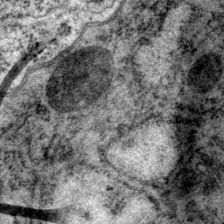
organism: P. pacificus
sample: Pharynx